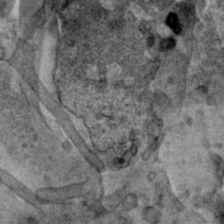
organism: Human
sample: Mitochondria in HCT116 cells